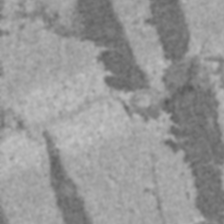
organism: C57BL Mouse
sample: Heart